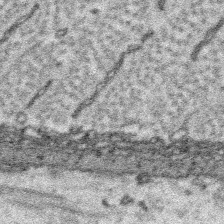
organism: Platynereis dumerilii